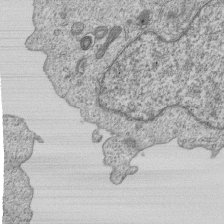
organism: Human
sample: MDA-MB-231 cells